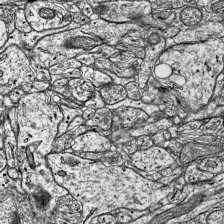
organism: Mouse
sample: Visual Cortex